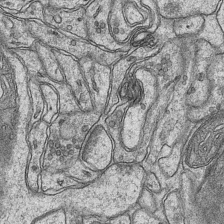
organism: Mouse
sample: CA1 Hippocampus